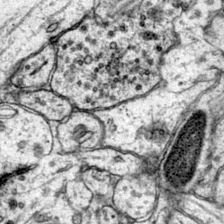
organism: Mouse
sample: Primary visual cortex